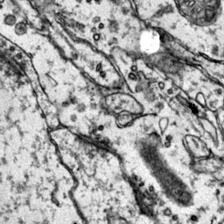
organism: Mouse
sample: Primary visual cortex